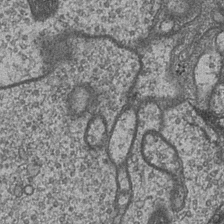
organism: Drosophila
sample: Optic medulla